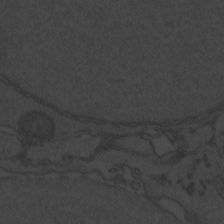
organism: Zebrafish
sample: Macrophage infected with Toxoplasma gondii